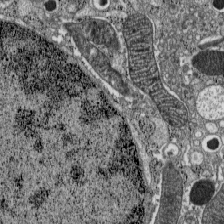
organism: C57BL Mouse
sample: Pancreatic islet